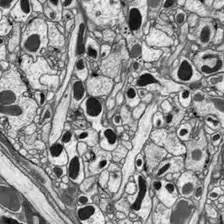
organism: Drosophila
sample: Optic lobe